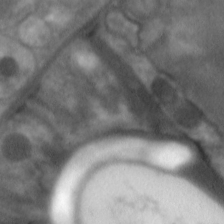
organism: C. elegans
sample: Pharynx